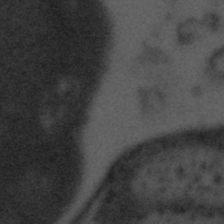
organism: Tuwongella immobilis